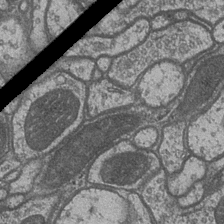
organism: Drosophila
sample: Optic medulla